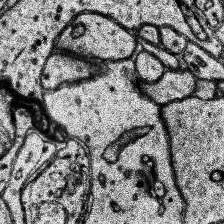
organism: Human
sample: Temporal Lobe